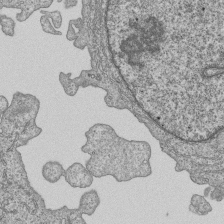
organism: Human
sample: MDA-MB-231 cells